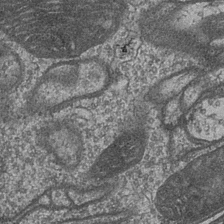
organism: Drosophila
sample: Optic medulla